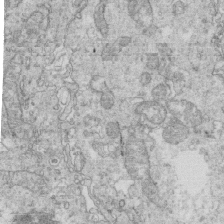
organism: Mouse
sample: Multiciliated cells